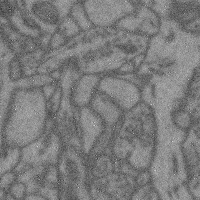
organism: Mouse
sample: Cerebral cortex